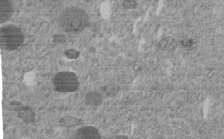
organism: C. elegans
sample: C. elegans embryo early stage